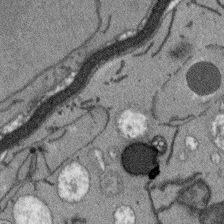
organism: Arabidopsis thaliana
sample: Root tip